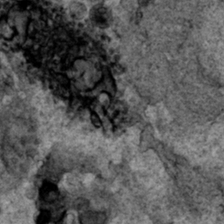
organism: Human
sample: Mitochondria in HCT116 cells